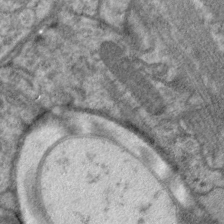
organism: C. elegans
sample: Pharynx